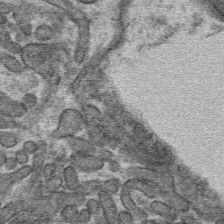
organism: Mouse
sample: Mouse hepatocytes